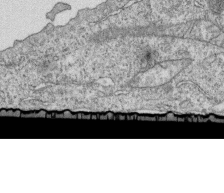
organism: Human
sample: HeLa cell HIV synapse